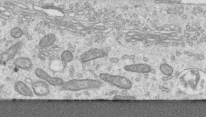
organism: Human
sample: Centriole in RPE cells